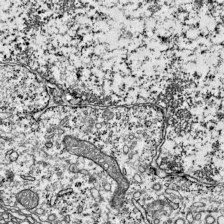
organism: Mouse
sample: Visual Cortex